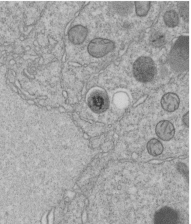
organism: C. elegans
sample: C. elegans embryo early stage